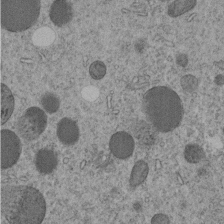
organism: C. elegans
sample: C. elegans embryo early stage